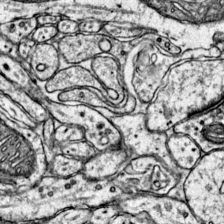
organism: Mouse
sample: Primary visual cortex